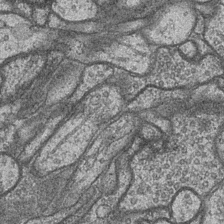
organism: Drosophila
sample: Optic medulla